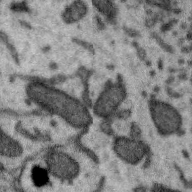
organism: Zebra finch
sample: Brain